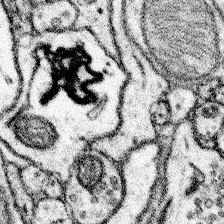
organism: Mouse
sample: Somatosensory cortex neuropil